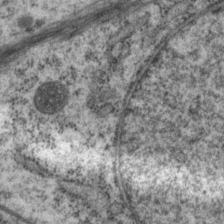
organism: P. pacificus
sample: Pharynx